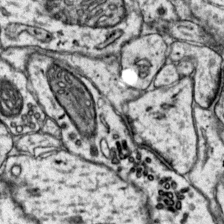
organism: Mouse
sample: Primary visual cortex